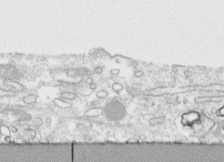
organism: Human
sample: CRL-1474